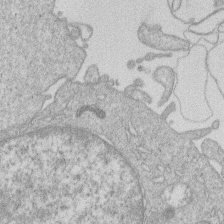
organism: Human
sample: Macrophage cells